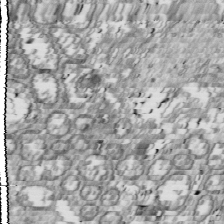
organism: Drosophila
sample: Cell division; meiosis; drosophila spermatocytes